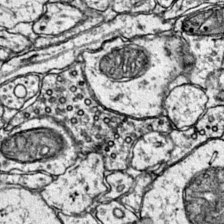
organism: Mouse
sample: Primary visual cortex